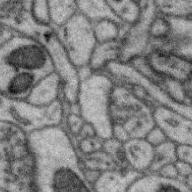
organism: Zebra finch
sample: Brain